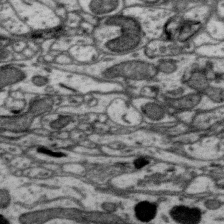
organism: Zebra finch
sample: Brain